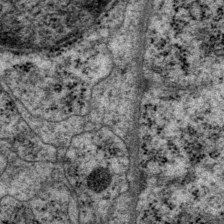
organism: P. pacificus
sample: Pharynx